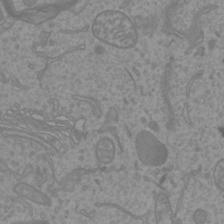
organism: Mouse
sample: Cortical neurons